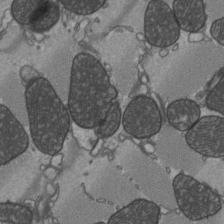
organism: C57BL Mouse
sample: Heart